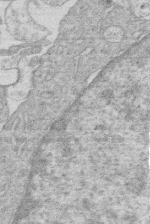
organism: Human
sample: Macrophage cells